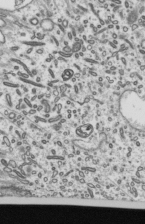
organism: Mouse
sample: Mouse epididymis efferent ductule cilia